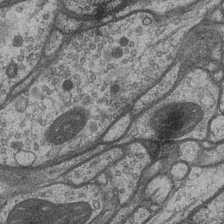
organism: Drosophila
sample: Optic medulla